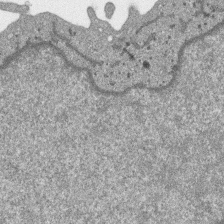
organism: Human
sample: Lung epithelial cells infected with SARS-CoV-2